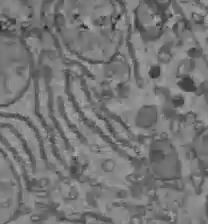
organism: C57BL Mouse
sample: Liver